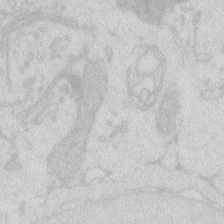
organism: Zebrafish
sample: Macrophage